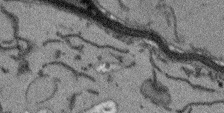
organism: Arabidopsis thaliana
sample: Root tip